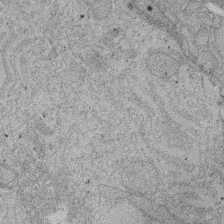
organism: Rat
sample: Salivary granule